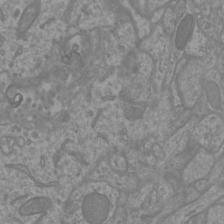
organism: Mouse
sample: Cortical neurons